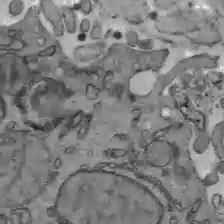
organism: C57BL Mouse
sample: Liver